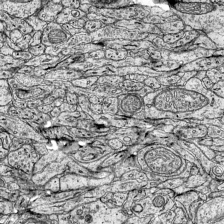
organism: Mouse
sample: Visual Cortex